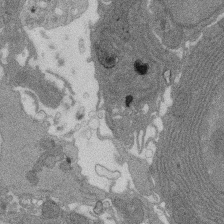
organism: Rat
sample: Salivary granule